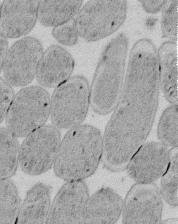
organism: E. coli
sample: Bacterial nucleoid